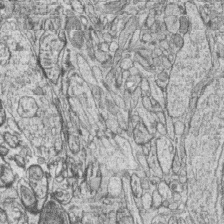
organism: Zebrafish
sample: synaptic ribbons in rod cells and cone cells